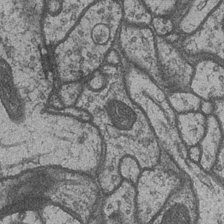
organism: Drosophila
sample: Optic medulla